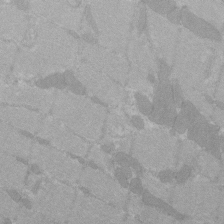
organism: C57BL Mouse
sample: Tibialis anterior muscle cell